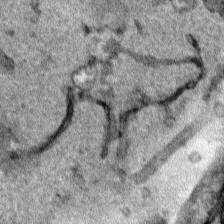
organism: Human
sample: Mitochondria in HCT116 cells